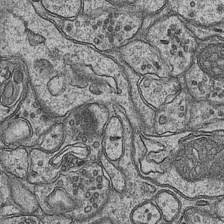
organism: Mouse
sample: CA1 Hippocampus